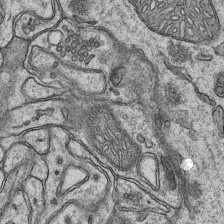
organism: Mouse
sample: CA1 Hippocampus